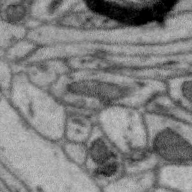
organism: Zebra finch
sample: Brain